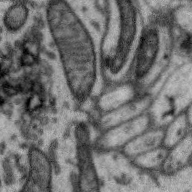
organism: Zebra finch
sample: Brain